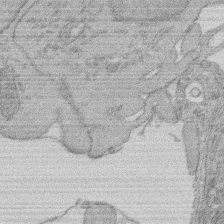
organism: Rat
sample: Salivary granule